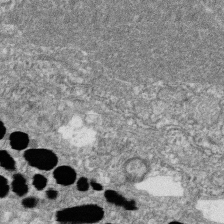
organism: Zebrafish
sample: Cilia; retinal pigment epithelium